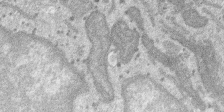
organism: Human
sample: Lung epithelial cells infected with SARS-CoV-2